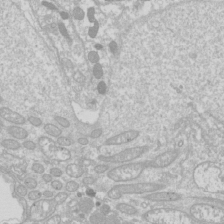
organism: Drosophila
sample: Cell division; meiosis; drosophila spermatocytes